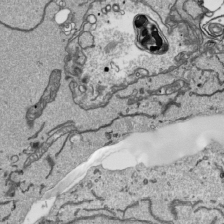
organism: Human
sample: Mitochondria in HCT116 cells